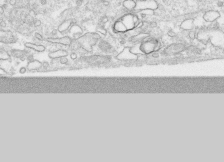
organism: Human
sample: CRL-1474